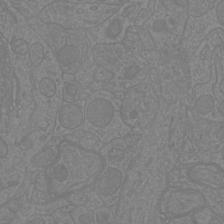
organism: Mouse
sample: Cortical neurons